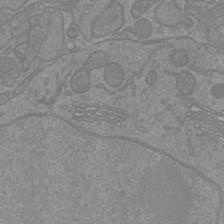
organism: Mouse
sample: Cortical neurons